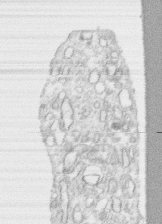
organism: Human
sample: CRL-1474